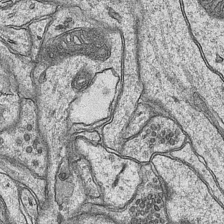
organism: Mouse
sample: CA1 Hippocampus